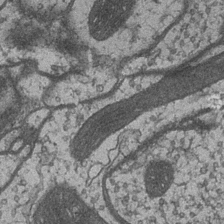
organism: Drosophila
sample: Optic medulla